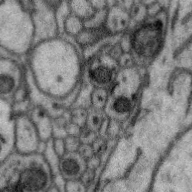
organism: Zebra finch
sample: Brain